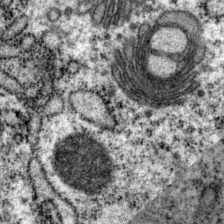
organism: P. pacificus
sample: Pharynx